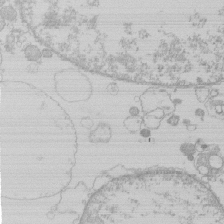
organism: Human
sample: Macrophage cells